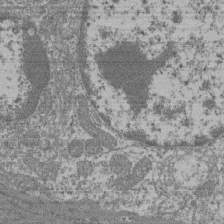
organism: Mouse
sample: Glomerulus